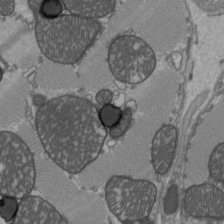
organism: C57BL Mouse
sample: Heart